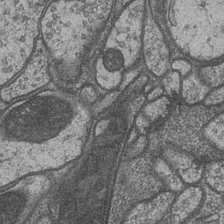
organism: Drosophila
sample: Optic medulla